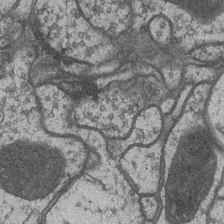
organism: Drosophila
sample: Optic medulla